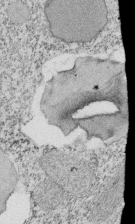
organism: Tetrahymena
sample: Cilia in tetrahymena